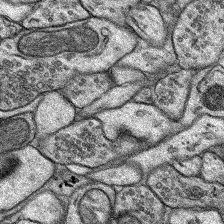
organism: Rat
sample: Hippocampus